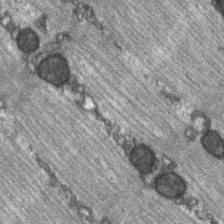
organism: C57BL Mouse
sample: Soleus